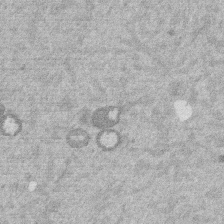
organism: Mouse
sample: Dividing mouse embryo 1 cell stage